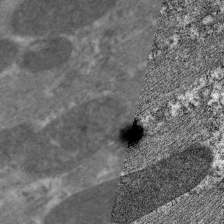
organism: C. elegans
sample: Pharynx